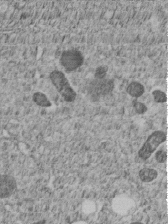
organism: C. elegans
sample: C. elegans embryo early stage